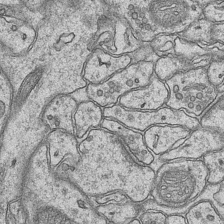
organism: Mouse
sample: CA1 Hippocampus